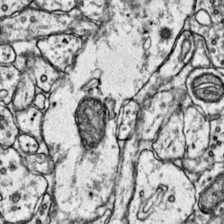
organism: Mouse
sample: Primary visual cortex